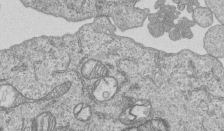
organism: Human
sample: MDA-MB-231 cells